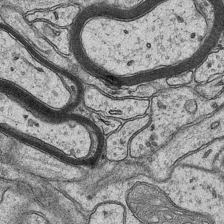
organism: Mouse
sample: CA1 Hippocampus